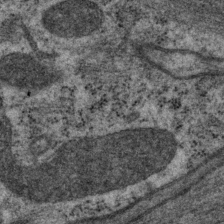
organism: P. pacificus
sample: Pharynx